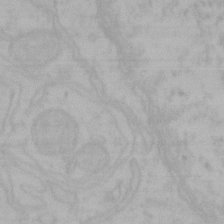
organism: Mouse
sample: Choroid plexus